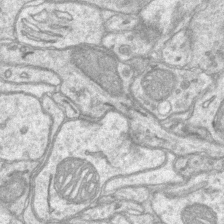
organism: Mouse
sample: CA1 Hippocampus